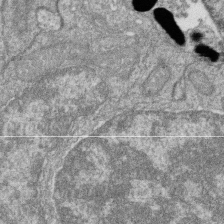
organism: Zebrafish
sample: Cilia; retinal pigment epithelium